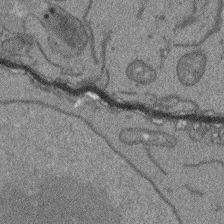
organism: Arabidopsis thaliana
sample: Root tip